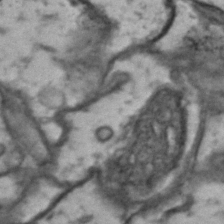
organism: Drosophila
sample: Brain